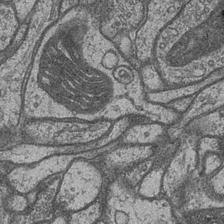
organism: Drosophila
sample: Optic medulla